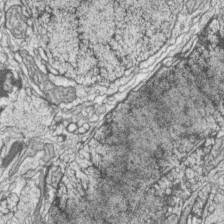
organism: Zebrafish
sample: synaptic ribbons in rod cells and cone cells